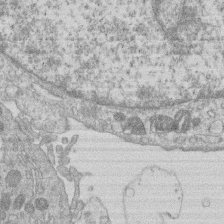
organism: Human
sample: Macrophage cells